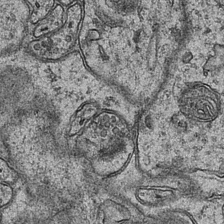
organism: Mouse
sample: CA1 Hippocampus